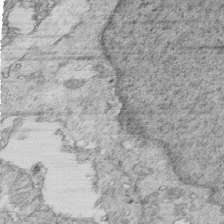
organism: Mouse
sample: Multiciliated cells